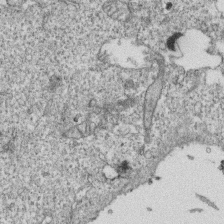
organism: Human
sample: HeLa cell HIV synapse